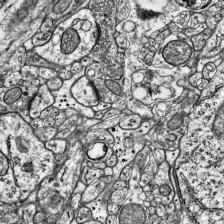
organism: Mouse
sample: Visual Cortex